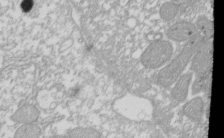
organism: Xenopus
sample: Cilia; centrioles in frog embryo cells